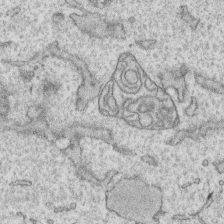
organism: Human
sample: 1205lu cells